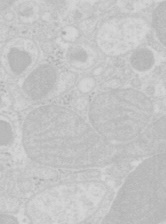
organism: Mouse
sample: Pancreas